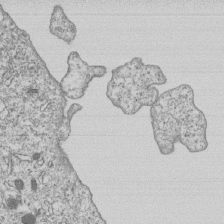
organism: Human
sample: MDA-MB-231 cells